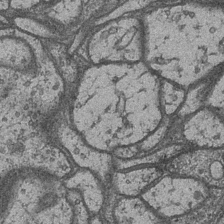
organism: Drosophila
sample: Optic medulla